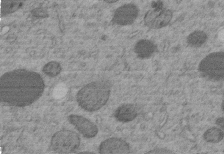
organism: C. elegans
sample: C. elegans embryo early stage